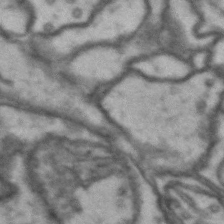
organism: Drosophila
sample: Brain